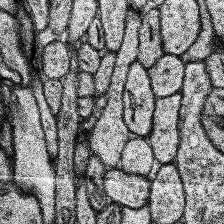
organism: Human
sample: Temporal Lobe